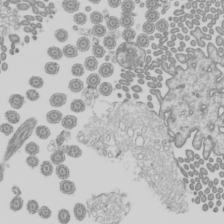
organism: Mouse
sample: Cilia; mouse epididymis